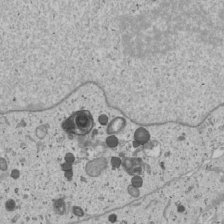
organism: Human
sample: Mitochondria in U2OS cells